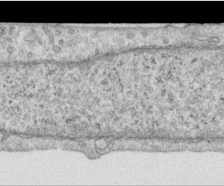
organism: Human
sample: Centriole in RPE cells